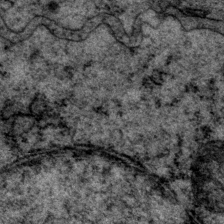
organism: P. pacificus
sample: Pharynx